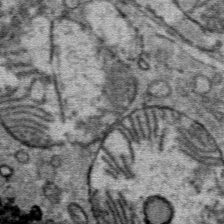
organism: Mouse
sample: Mouse Salivary gland